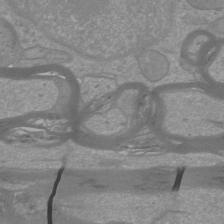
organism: Mouse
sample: Cortical neurons